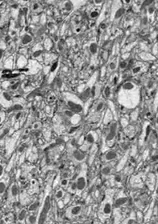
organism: Drosophila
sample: Optic lobe